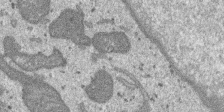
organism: Human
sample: Lung epithelial cells infected with SARS-CoV-2